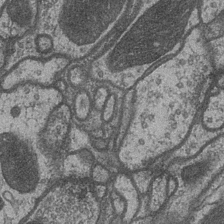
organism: Drosophila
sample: Optic medulla